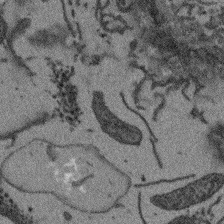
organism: Arabidopsis thaliana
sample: Root tip